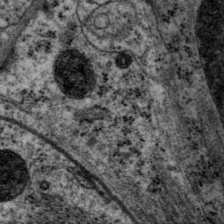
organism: P. pacificus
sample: Pharynx